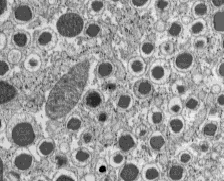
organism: C57BL Mouse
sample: Pancreatic islet